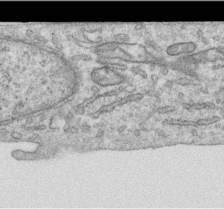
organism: Human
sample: Centriole in RPE cells